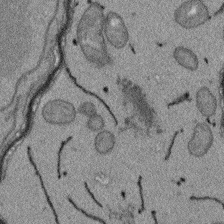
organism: Arabidopsis thaliana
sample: Root tip